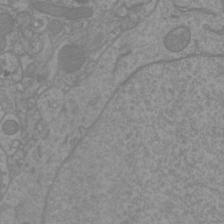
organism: Mouse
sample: Cortical neurons